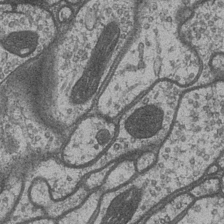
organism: Drosophila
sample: Optic medulla